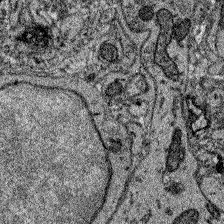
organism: Zebrafish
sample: Larval olfactory bulb